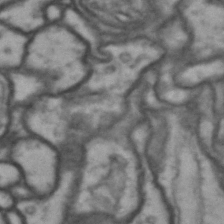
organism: Drosophila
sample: Brain